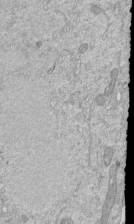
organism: Mouse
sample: ED-1 cell nuclei; centrioles